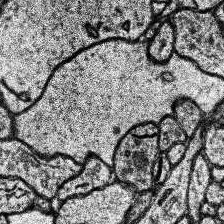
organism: Human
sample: Temporal Lobe